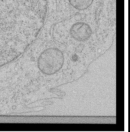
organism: Human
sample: Mitochondria in HCT116 cells